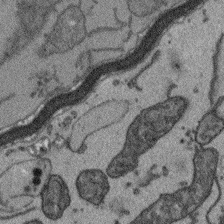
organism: Arabidopsis thaliana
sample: Root tip